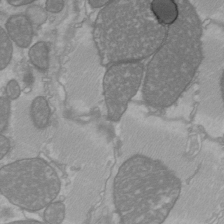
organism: C57BL Mouse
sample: Heart